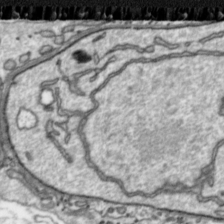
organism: Toxoplasma gondii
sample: Parasites in a vacuole inside a host cell